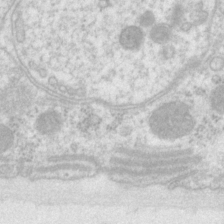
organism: P. pacificus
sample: Pharynx